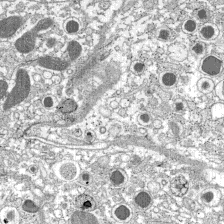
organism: C57BL Mouse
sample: Pancreatic islet